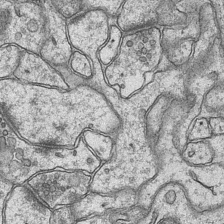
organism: Mouse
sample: CA1 Hippocampus